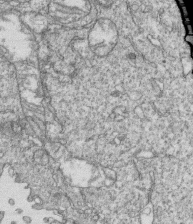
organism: Human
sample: HeLa cell HIV synapse